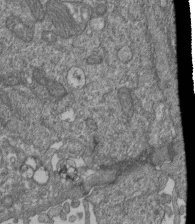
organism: Human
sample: Retinal organoid Rod and Cone cells